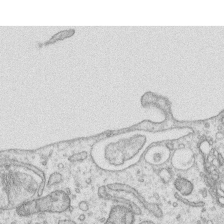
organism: Human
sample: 1205lu cells